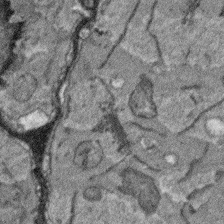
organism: Arabidopsis thaliana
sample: Root tip